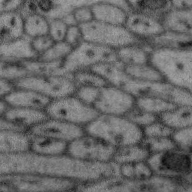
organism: Zebra finch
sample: Brain